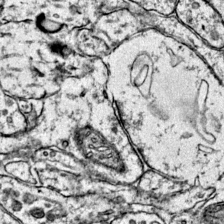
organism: Mouse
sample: Primary visual cortex